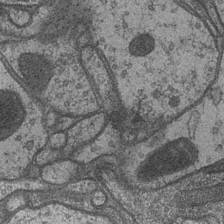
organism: Drosophila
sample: Optic medulla